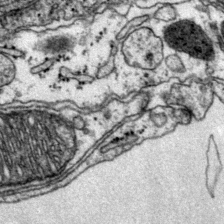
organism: Mouse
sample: Primary visual cortex